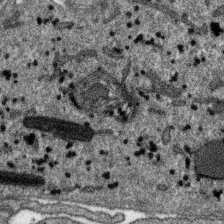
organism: Human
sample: Lung epithelial cells infected with SARS-CoV-2